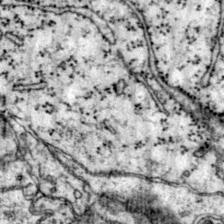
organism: Mouse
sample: Primary visual cortex